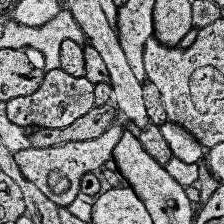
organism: Human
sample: Temporal Lobe